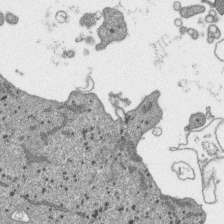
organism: Human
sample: Lung epithelial cells infected with SARS-CoV-2